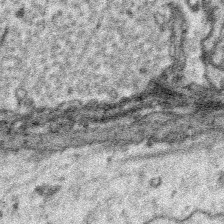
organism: Platynereis dumerilii